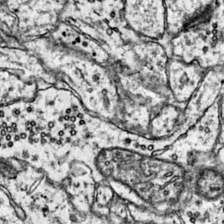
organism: Mouse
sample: Primary visual cortex